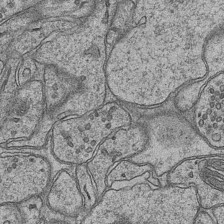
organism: Mouse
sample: CA1 Hippocampus